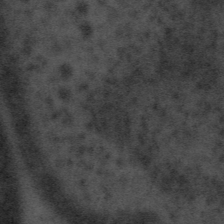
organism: Tuwongella immobilis